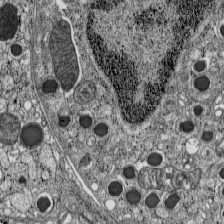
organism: C57BL Mouse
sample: Pancreatic islet